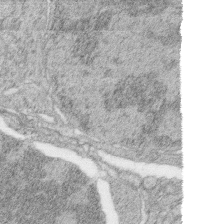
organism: Zebrafish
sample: synaptic ribbons in rod cells and cone cells